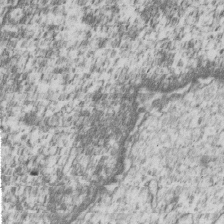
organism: Human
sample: MDA-MB-231 cells